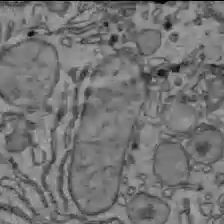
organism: C57BL Mouse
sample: Liver